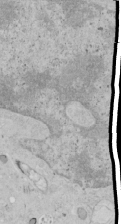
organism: Human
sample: Mitochondria in HCT116 cells